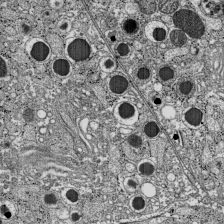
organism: C57BL Mouse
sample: Pancreatic islet